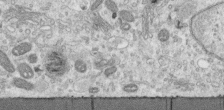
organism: Human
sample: Centriole in RPE cells